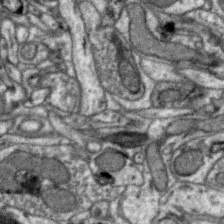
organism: Zebra finch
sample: Brain